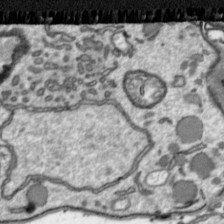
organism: Toxoplasma gondii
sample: Parasites in a vacuole inside a host cell